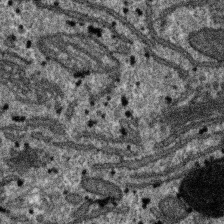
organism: Human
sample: Lung epithelial cells infected with SARS-CoV-2